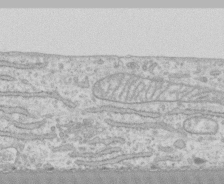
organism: Human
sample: CRL-1474